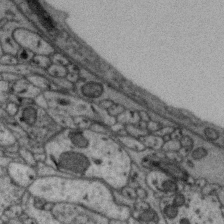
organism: Zebra finch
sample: Brain